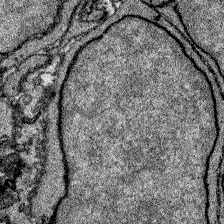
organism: Zebrafish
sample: Larval olfactory bulb